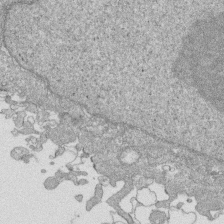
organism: Human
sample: HeLa cell HIV synapse